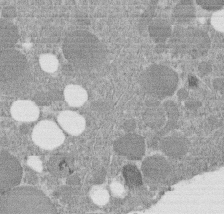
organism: C. elegans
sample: C. elegans embryo early stage